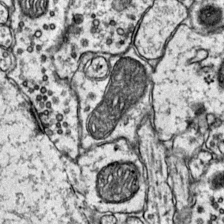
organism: Mouse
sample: Primary visual cortex